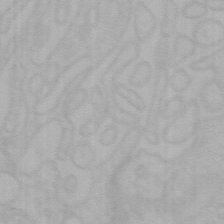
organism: Mouse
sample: Choroid plexus